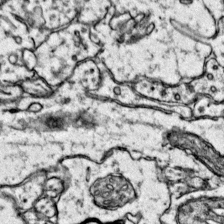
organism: Mouse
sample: Primary visual cortex